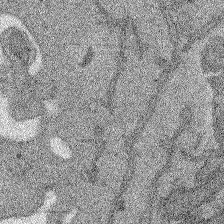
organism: Human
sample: HeLa cells